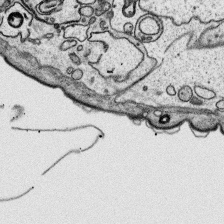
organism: Platynereis dumerilii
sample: Parapodia